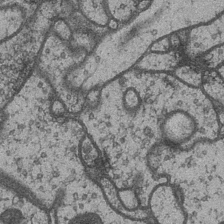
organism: Drosophila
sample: Optic medulla